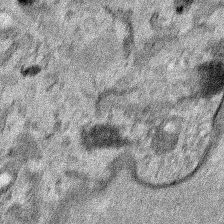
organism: Human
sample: Mitochondria in HCT116 cells